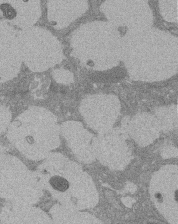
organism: Rat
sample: Salivary granule